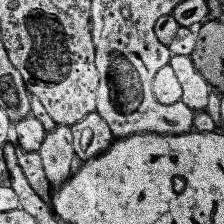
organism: Human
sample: Temporal Lobe